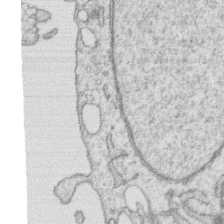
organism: Human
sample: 1205lu cells